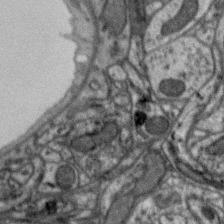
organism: Zebra finch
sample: Brain